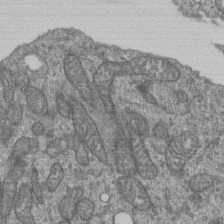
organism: Human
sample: Retinal organoid Rod and Cone cells